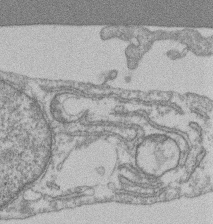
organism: Mouse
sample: T cell stromal cell synapse